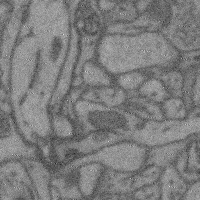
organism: Mouse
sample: Cerebral cortex